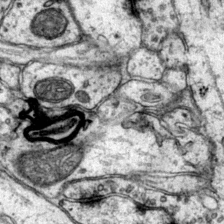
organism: Mouse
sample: Primary visual cortex